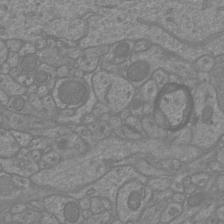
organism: Mouse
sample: Cortical neurons